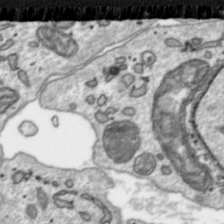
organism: Toxoplasma gondii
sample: Parasites in a vacuole inside a host cell